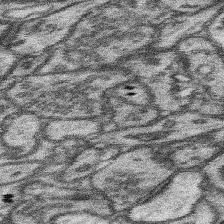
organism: Mouse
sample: Somatosensory cortex neuropil